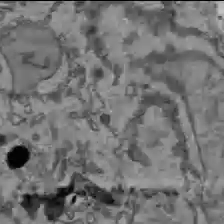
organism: C57BL Mouse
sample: Liver